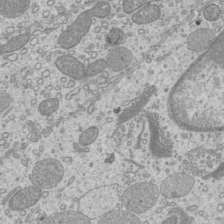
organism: Mouse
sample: Cilia; mouse epididymis